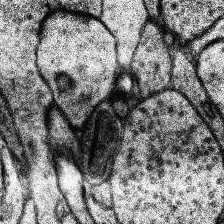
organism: Human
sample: Temporal Lobe